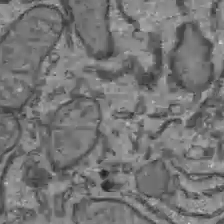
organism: C57BL Mouse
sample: Liver